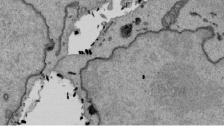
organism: Mouse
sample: ED-1 cell nuclei; centrioles